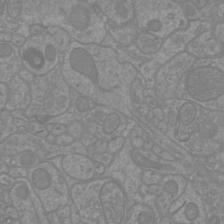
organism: Mouse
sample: Cortical neurons